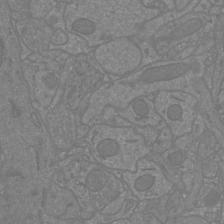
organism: Mouse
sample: Cortical neurons